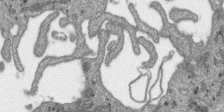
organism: Human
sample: Lung epithelial cells infected with SARS-CoV-2